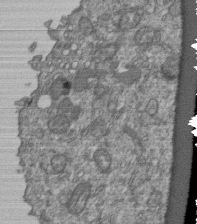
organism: Human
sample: Retinal organoid Rod and Cone cells